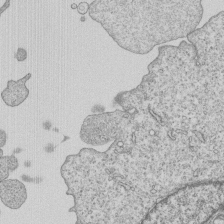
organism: Human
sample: MDA-MB-231 cells